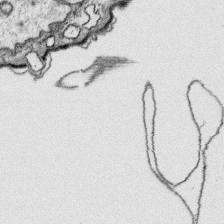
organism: Platynereis dumerilii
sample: Parapodia